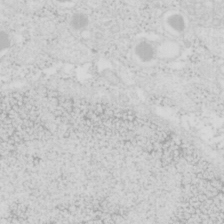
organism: Mouse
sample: Pancreas